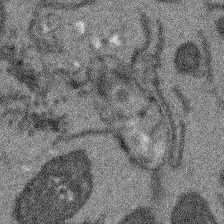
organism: Arabidopsis thaliana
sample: Root tip